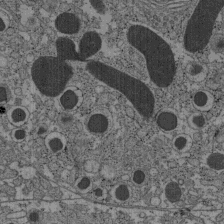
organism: C57BL Mouse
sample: Pancreatic islet